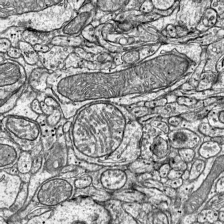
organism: Mouse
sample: Visual Cortex